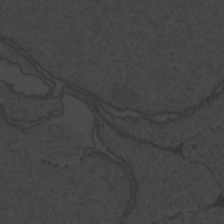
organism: Zebrafish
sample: Macrophage infected with Toxoplasma gondii